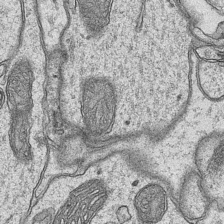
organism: Mouse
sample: CA1 Hippocampus